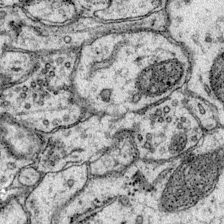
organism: Mouse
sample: Primary visual cortex